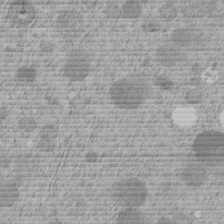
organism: C. elegans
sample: C. elegans embryo early stage